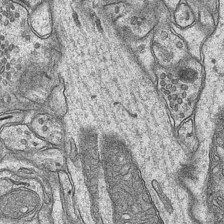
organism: Mouse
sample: CA1 Hippocampus